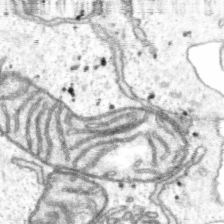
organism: Human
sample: HeLa cells